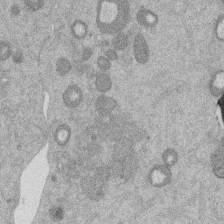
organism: Mouse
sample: Dividing mouse embryo 1 cell stage